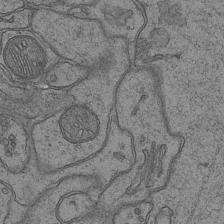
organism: Mouse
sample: CA1 Hippocampus